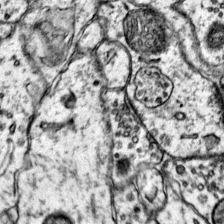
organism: Mouse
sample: Primary visual cortex